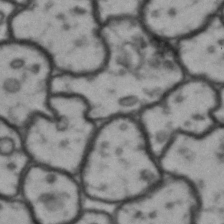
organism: Drosophila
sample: Brain